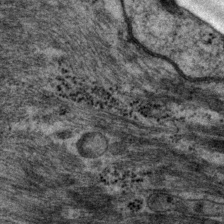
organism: P. pacificus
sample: Pharynx